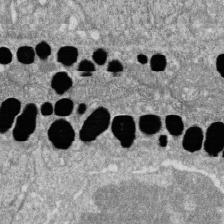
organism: Zebrafish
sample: Cilia; retinal pigment epithelium